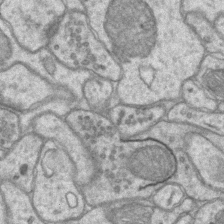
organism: Mouse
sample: CA1 Hippocampus